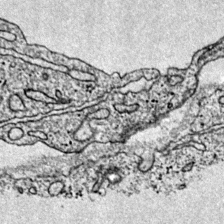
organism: Mouse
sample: Primary visual cortex